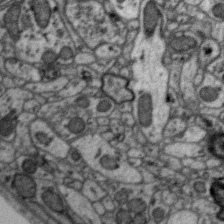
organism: Zebra finch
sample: Brain